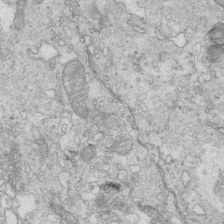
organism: Mouse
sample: Multiciliated cells